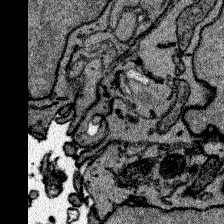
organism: Zebrafish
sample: Larval olfactory bulb